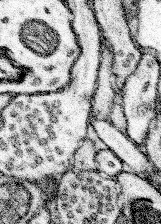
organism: Mouse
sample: Somatosensory cortex neuropil